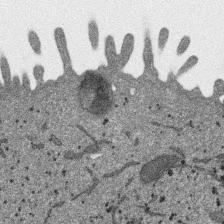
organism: Human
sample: Lung epithelial cells infected with SARS-CoV-2